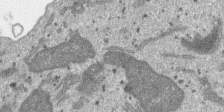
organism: Human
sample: Lung epithelial cells infected with SARS-CoV-2